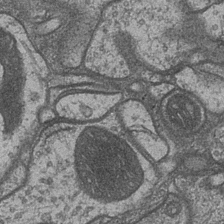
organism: Drosophila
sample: Optic medulla